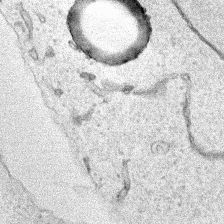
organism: Human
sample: Mitochondria in HCT116 cells